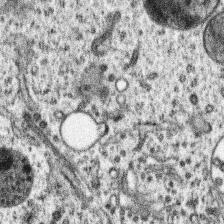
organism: Human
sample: HeLa cells